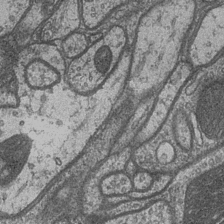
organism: Drosophila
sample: Optic medulla